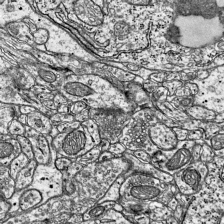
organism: Mouse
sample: Visual Cortex